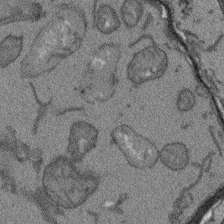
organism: Arabidopsis thaliana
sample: Root tip